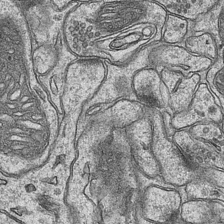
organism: Mouse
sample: CA1 Hippocampus